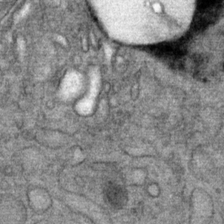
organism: Mouse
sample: Mouse Salivary gland